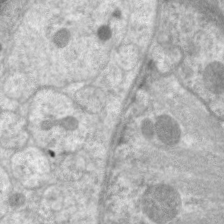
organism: C. elegans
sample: Pharynx